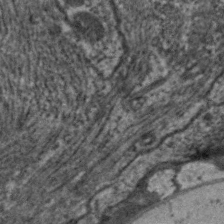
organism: C. elegans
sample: Pharynx